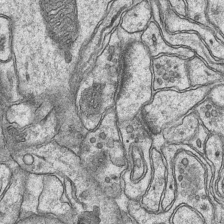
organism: Mouse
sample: CA1 Hippocampus